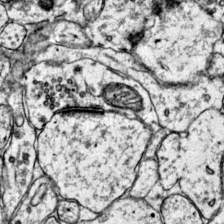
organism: Mouse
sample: Primary visual cortex